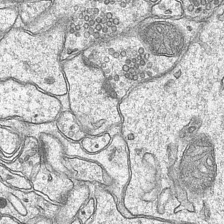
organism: Mouse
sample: CA1 Hippocampus